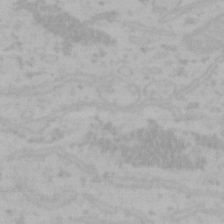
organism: Mouse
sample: Choroid plexus